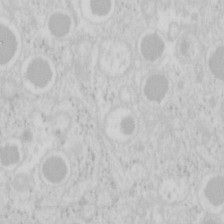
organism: Mouse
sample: Pancreas